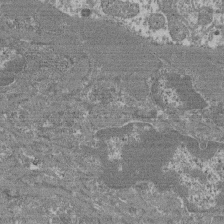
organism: Mouse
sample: Glomerulus